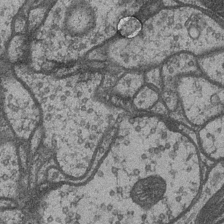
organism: Drosophila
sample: Optic medulla